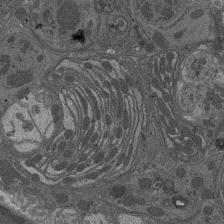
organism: Drosophila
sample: Antenna